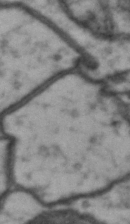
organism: Drosophila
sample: Brain